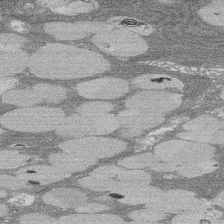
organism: Rat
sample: Salivary granule